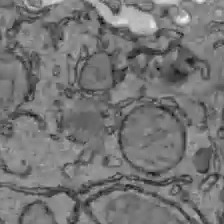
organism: C57BL Mouse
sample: Liver